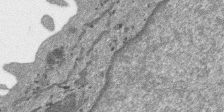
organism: Human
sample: Lung epithelial cells infected with SARS-CoV-2